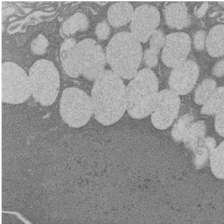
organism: Rat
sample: Salivary granule